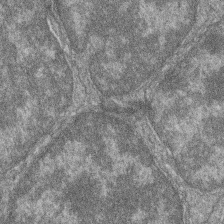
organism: Zebrafish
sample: Cilia; retinal pigment epithelium